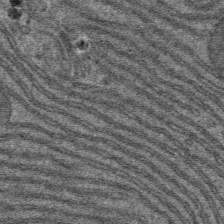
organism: Mouse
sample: Mouse hepatocytes